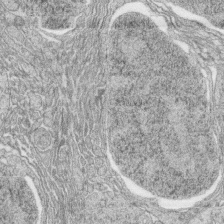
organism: Zebrafish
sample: synaptic ribbons in rod cells and cone cells